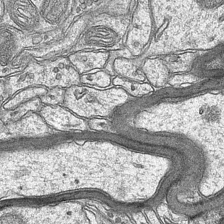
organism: Mouse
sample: CA1 Hippocampus